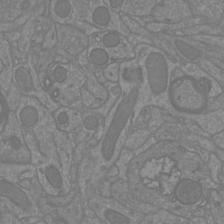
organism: Mouse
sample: Cortical neurons